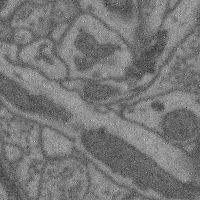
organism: Mouse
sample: Cerebral cortex